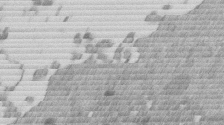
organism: Mouse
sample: Dividing mouse embryo 1 cell stage